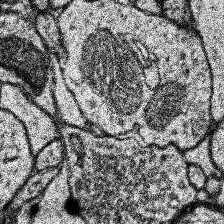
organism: Human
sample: Temporal Lobe